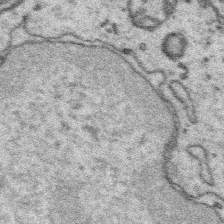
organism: Platynereis dumerilii